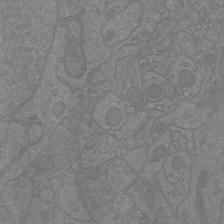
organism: Mouse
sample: Cortical neurons